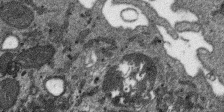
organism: Human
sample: Lung epithelial cells infected with SARS-CoV-2